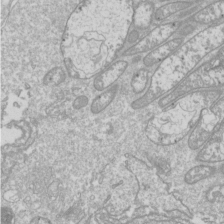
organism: Drosophila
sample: Cell division; meiosis; drosophila spermatocytes